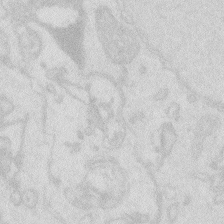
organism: Zebrafish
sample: Macrophage